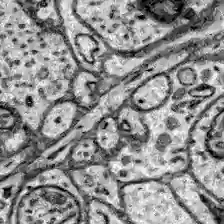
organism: Zebrafish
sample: Brain